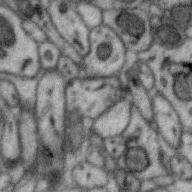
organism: Zebra finch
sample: Brain